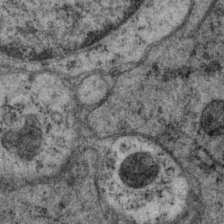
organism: P. pacificus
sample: Pharynx